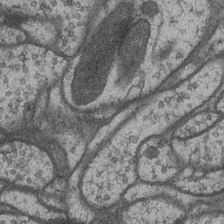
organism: Drosophila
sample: Optic medulla